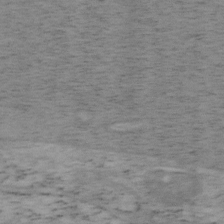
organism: Mouse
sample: OT-I killer T cells with ID8 ovarian cancer cells